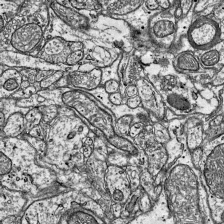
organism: Mouse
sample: Visual Cortex